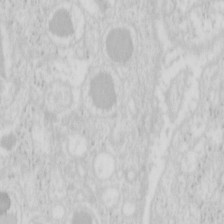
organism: Mouse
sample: Pancreas